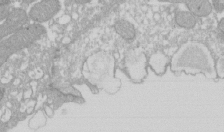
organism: Xenopus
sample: Cilia; centrioles in frog embryo cells